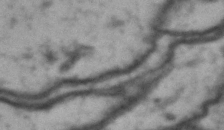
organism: Drosophila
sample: Brain